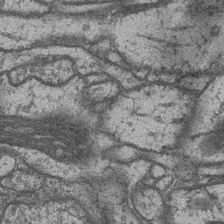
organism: Drosophila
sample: Optic medulla